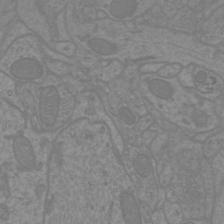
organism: Mouse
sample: Cortical neurons